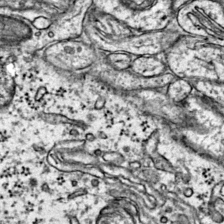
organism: Mouse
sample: Primary visual cortex